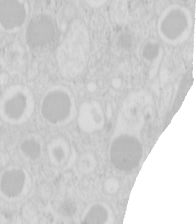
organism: Mouse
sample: Pancreas